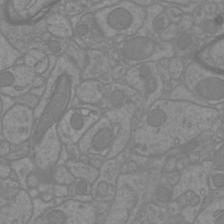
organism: Mouse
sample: Cortical neurons